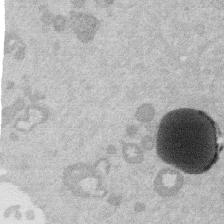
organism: Mouse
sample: Dividing mouse embryo 1 cell stage